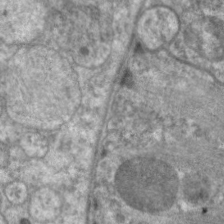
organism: C. elegans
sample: Pharynx